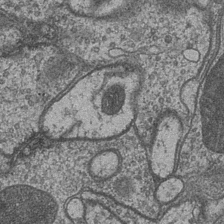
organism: Drosophila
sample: Optic medulla